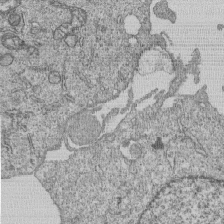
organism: Human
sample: MDA-MB-231 cells